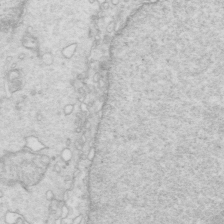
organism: Mouse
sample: Multiciliated cells